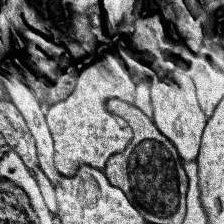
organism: Human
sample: Temporal Lobe